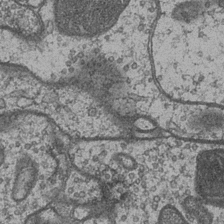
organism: Drosophila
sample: Optic medulla